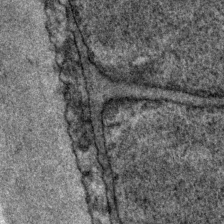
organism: P. pacificus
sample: Pharynx